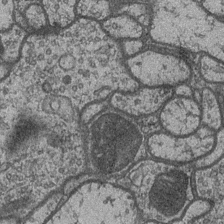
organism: Drosophila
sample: Optic medulla